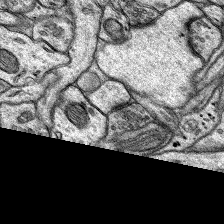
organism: Rat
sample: Hippocampus